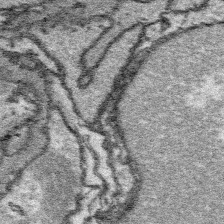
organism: Platynereis dumerilii